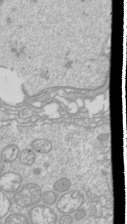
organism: Drosophila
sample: Cell division; meiosis; drosophila spermatocytes